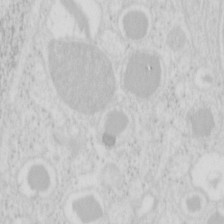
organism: Mouse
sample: Pancreas